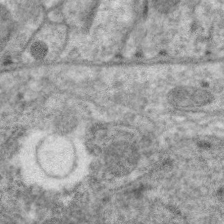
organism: C. elegans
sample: Pharynx